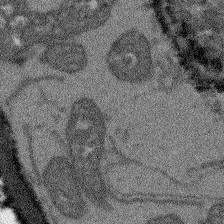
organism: Arabidopsis thaliana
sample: Root tip